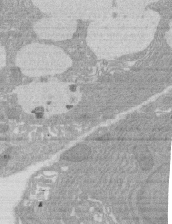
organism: Rat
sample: Salivary granule